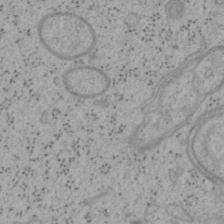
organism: Human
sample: HeLa cells